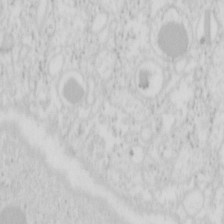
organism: Mouse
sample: Pancreas